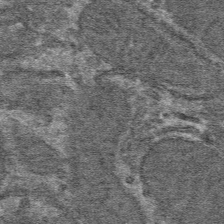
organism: Mouse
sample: Mouse hepatocytes